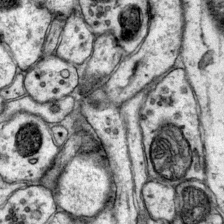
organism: Mouse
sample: Primary visual cortex